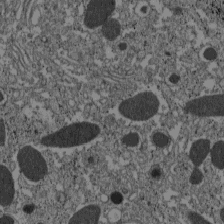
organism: C57BL Mouse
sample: Pancreatic islet